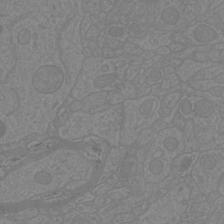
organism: Mouse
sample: Cortical neurons